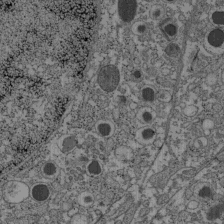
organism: C57BL Mouse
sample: Pancreatic islet